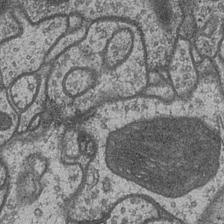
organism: Drosophila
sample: Optic medulla